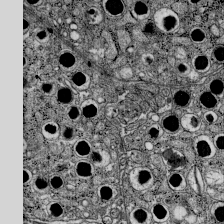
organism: C57BL Mouse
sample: Pancreatic islet